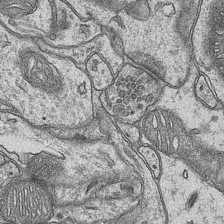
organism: Mouse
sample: CA1 Hippocampus